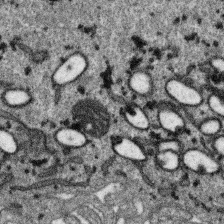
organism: Human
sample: Lung epithelial cells infected with SARS-CoV-2